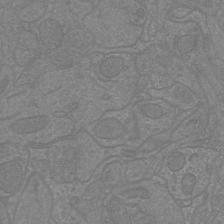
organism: Mouse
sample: Cortical neurons